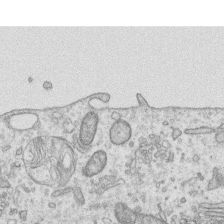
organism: Human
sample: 1205lu cells